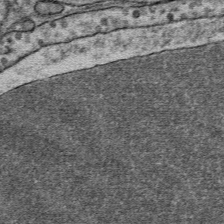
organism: Mouse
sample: Mouse Salivary gland